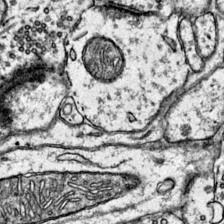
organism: Mouse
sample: Primary visual cortex